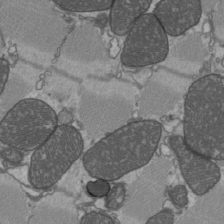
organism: C57BL Mouse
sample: Heart